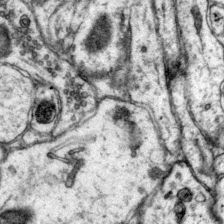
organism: Mouse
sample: Primary visual cortex